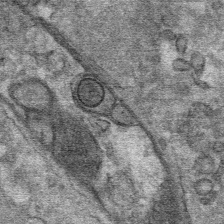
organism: Mouse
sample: Mouse Salivary gland